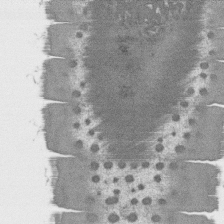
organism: C. elegans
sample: AFD neurons C. elegans